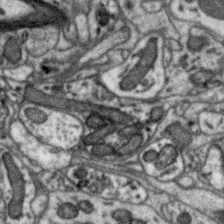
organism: Zebra finch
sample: Brain